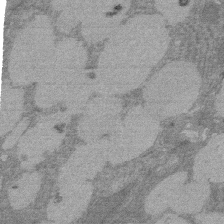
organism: Rat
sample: Salivary granule